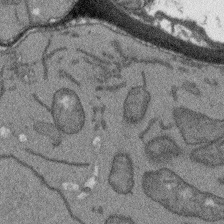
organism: Arabidopsis thaliana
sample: Root tip